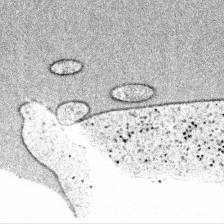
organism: Human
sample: HeLa cells